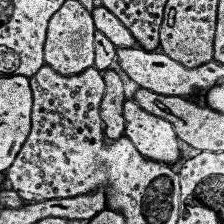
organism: Human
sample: Temporal Lobe